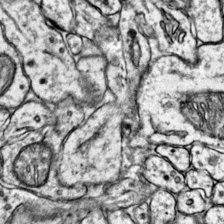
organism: Mouse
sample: Primary visual cortex